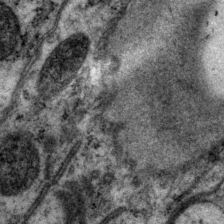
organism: P. pacificus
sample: Pharynx